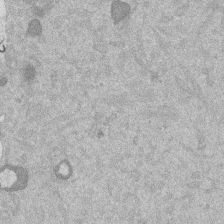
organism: Mouse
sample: Dividing mouse embryo 1 cell stage